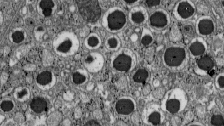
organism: C57BL Mouse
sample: Pancreatic islet